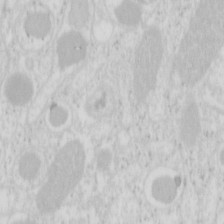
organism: Mouse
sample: Pancreas